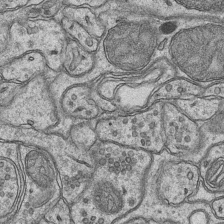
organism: Mouse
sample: CA1 Hippocampus